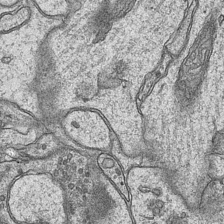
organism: Mouse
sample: CA1 Hippocampus